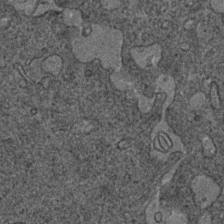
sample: Trachea